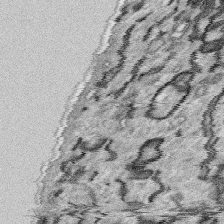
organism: Human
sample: HeLa cells